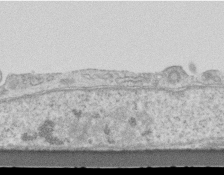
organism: Mouse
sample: Centriole in ependymal cells